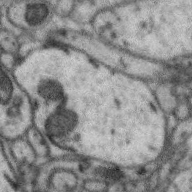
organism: Zebra finch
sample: Brain